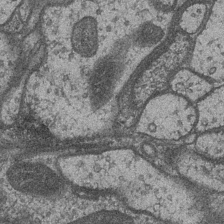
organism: Drosophila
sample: Optic medulla